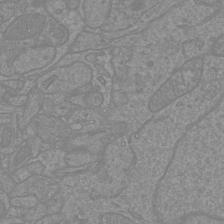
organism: Mouse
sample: Cortical neurons